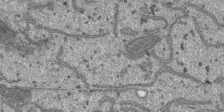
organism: Human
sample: Lung epithelial cells infected with SARS-CoV-2